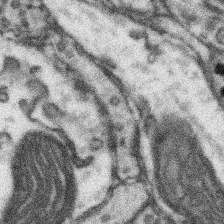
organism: Mouse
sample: Somatosensory cortex neuropil